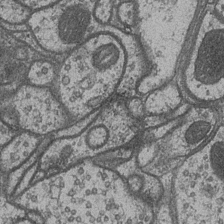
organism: Drosophila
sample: Optic medulla